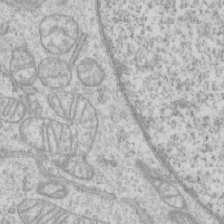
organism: Human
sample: CRL-1474